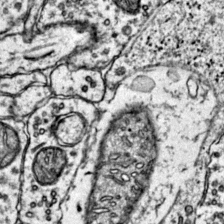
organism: Mouse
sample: Primary visual cortex